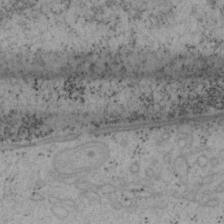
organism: Human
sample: HeLa cells